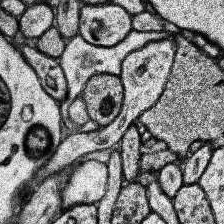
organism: Human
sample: Temporal Lobe